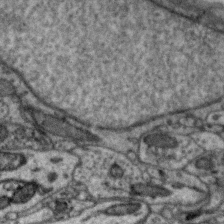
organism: Zebra finch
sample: Brain